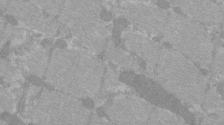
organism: C57BL Mouse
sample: Tibialis anterior muscle cell